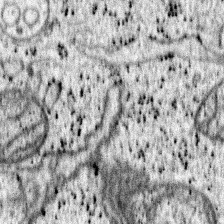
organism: Human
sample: HeLa cells